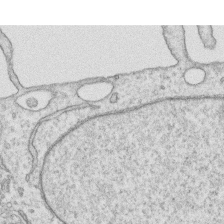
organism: Human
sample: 1205lu cells